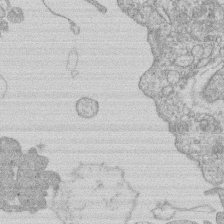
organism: Human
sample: Macrophage cells